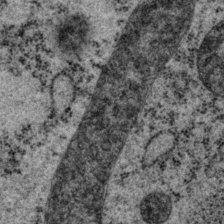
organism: P. pacificus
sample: Pharynx